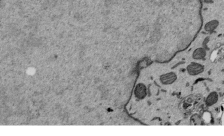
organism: Mouse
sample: ED-1 cell nuclei; centrioles